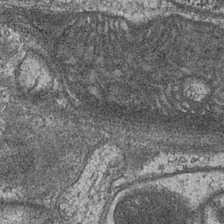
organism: Drosophila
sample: Optic medulla